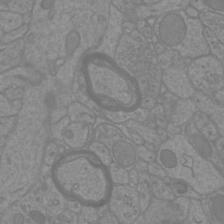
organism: Mouse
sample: Cortical neurons